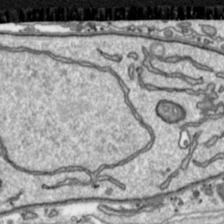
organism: Toxoplasma gondii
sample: Parasites in a vacuole inside a host cell